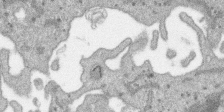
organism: Human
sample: Lung epithelial cells infected with SARS-CoV-2